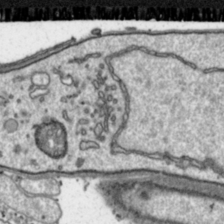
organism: Toxoplasma gondii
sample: Parasites in a vacuole inside a host cell